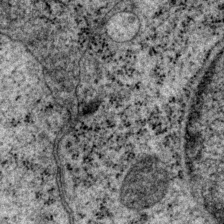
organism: P. pacificus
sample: Pharynx